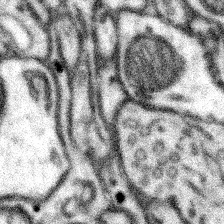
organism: Mouse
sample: Somatosensory cortex neuropil